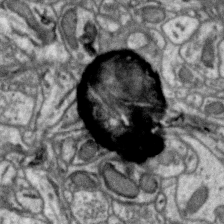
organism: Zebra finch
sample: Brain